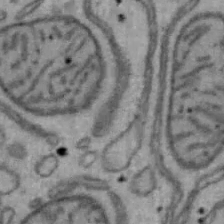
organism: Mouse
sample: Liver